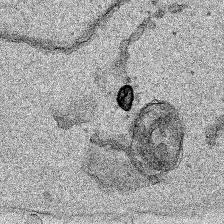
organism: Human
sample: Mitochondria in HCT116 cells